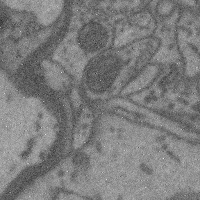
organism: Mouse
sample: Cerebral cortex